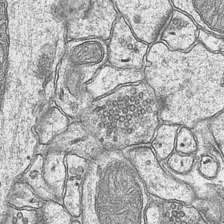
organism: Mouse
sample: CA1 Hippocampus